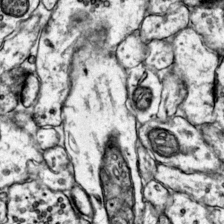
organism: Mouse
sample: Primary visual cortex